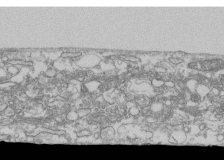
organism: Human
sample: Fibroblast cells